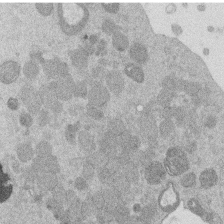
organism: Mouse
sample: Dividing mouse embryo 1 cell stage